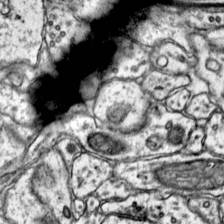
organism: Mouse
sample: Primary visual cortex